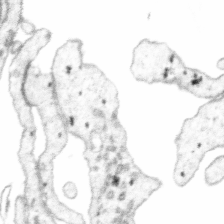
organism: Human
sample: HeLa cells